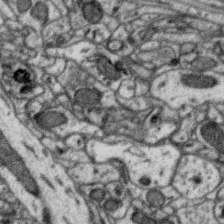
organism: Zebra finch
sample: Brain